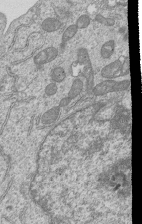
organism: Human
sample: MDA-MB-231 cells